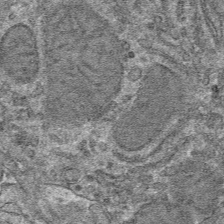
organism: Mouse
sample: Mouse hepatocytes